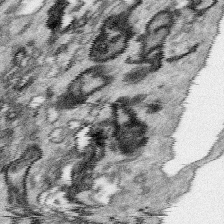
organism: Human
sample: HeLa cells